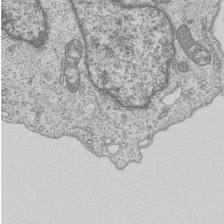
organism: Human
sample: MDA-MB-231 cells